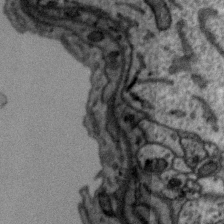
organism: Zebra finch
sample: Brain